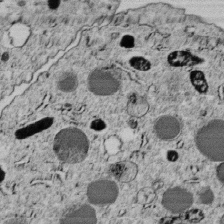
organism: C. elegans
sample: C. elegans embryo early stage